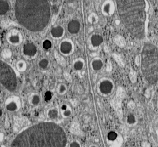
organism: C57BL Mouse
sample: Pancreatic islet